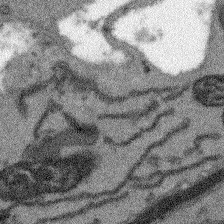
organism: Arabidopsis thaliana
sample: Root tip